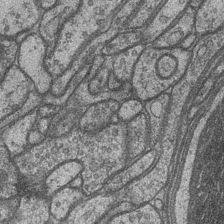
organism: Drosophila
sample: Optic medulla